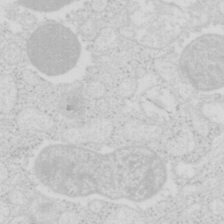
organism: Mouse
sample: Pancreas